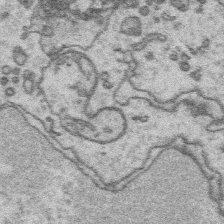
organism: Platynereis dumerilii